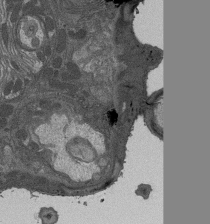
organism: Drosophila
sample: Antenna